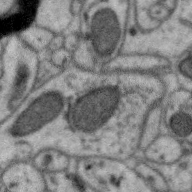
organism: Zebra finch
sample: Brain